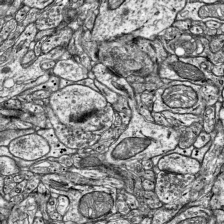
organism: Mouse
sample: Visual Cortex